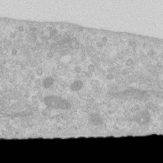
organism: Human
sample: Centriole in RPE cells